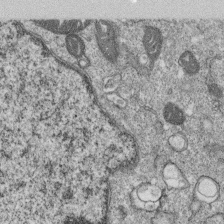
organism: African green monkey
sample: Vero E6 cells infected with SARS-CoV-2